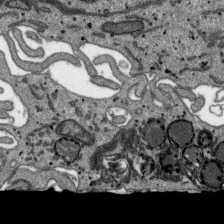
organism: Human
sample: Lung epithelial cells, uninfected (mock) control